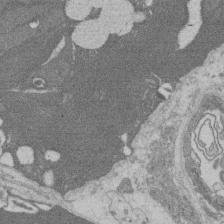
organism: Rat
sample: Salivary granule